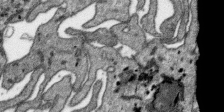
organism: Human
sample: Lung epithelial cells, uninfected (mock) control